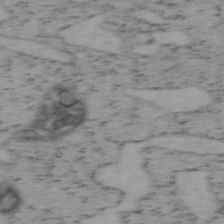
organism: Mouse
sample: OT-I killer T cells with ID8 ovarian cancer cells